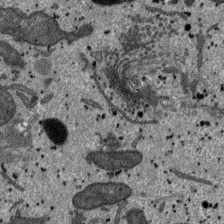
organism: Human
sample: Lung epithelial cells, uninfected (mock) control